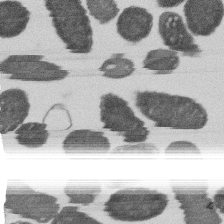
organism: E. coli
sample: Bacterial nucleoid